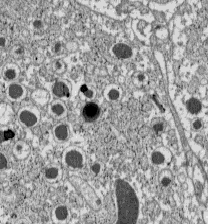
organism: C57BL Mouse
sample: Pancreatic islet